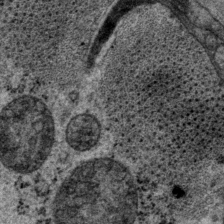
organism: P. pacificus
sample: Pharynx